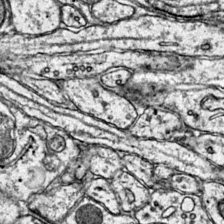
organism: Mouse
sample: Primary visual cortex